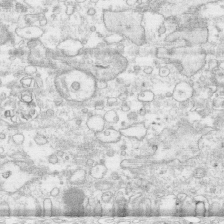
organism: Human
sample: CRL-1474